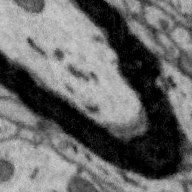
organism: Zebra finch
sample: Brain